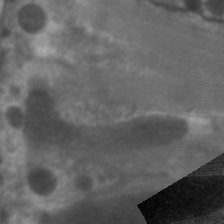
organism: C. elegans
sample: Pharynx